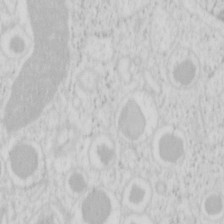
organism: Mouse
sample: Pancreas